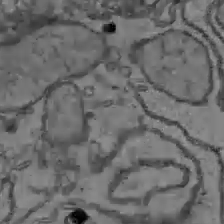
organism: C57BL Mouse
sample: Liver